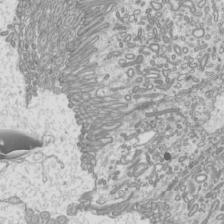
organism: Mouse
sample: Cilia; mouse epididymis